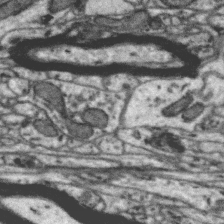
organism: Zebra finch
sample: Brain